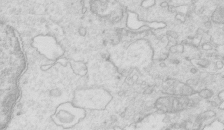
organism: Mouse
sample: Multiciliated cells